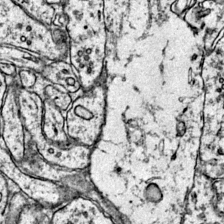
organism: Mouse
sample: Primary visual cortex